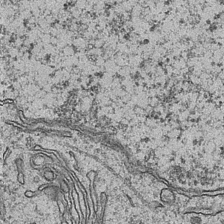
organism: Mouse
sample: CA1 Hippocampus